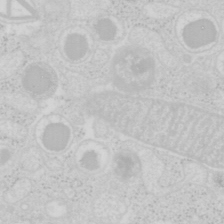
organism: Mouse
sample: Pancreas